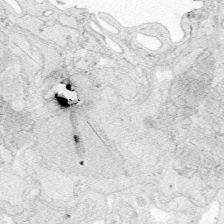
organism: Zebrafish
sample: Whole-Brain